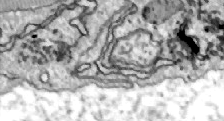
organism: Zebrafish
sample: Actinotrichia fibers